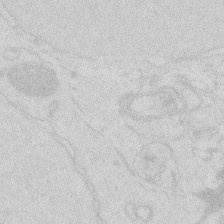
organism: Zebrafish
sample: Macrophage